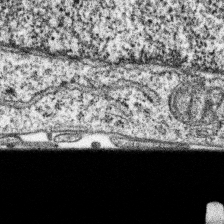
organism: Human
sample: HeLa cells